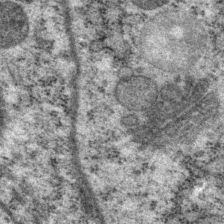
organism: P. pacificus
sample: Pharynx